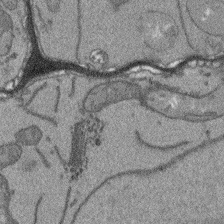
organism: Arabidopsis thaliana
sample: Root tip